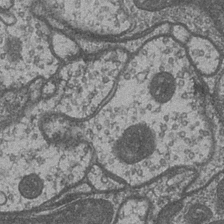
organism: Drosophila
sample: Optic medulla